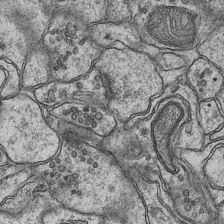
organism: Mouse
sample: CA1 Hippocampus